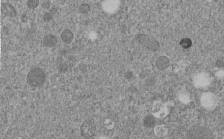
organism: C. elegans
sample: C. elegans embryo early stage